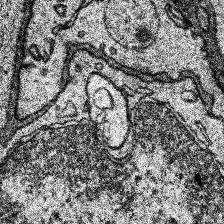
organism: Human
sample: Temporal Lobe